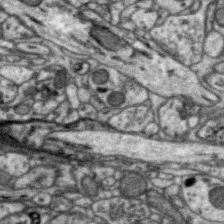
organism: Zebra finch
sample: Brain